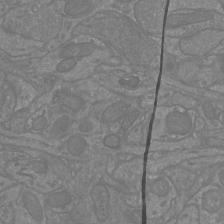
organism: Mouse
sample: Cortical neurons